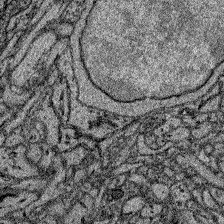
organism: Zebrafish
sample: Larval olfactory bulb